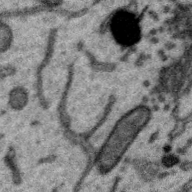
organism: Zebra finch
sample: Brain